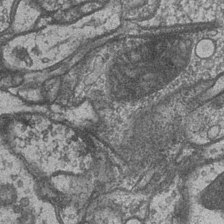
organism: Drosophila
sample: Optic medulla